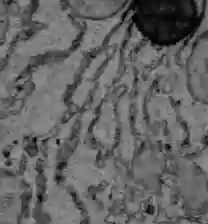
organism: C57BL Mouse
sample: Liver